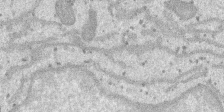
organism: Human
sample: Lung epithelial cells infected with SARS-CoV-2